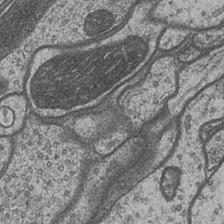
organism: Drosophila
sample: Optic medulla